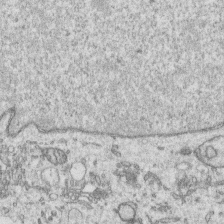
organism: Human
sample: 1205lu cells